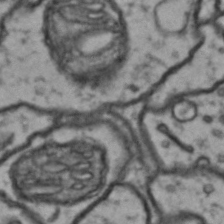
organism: Drosophila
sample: Brain